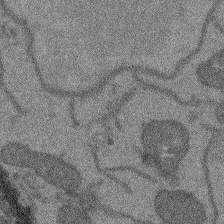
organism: Arabidopsis thaliana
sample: Root tip